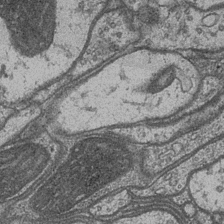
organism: Drosophila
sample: Optic medulla